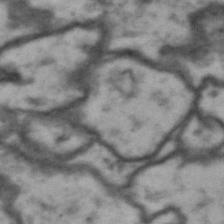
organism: Drosophila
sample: Brain